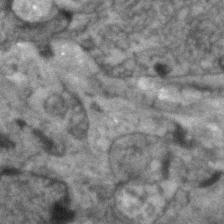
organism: Human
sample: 1205lu cells